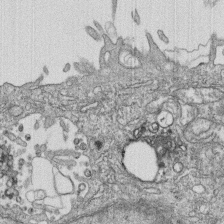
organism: Human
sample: HeLa cell HIV synapse